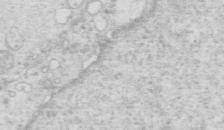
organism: Mouse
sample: Multiciliated cells